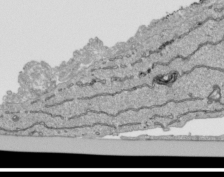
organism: Human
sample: Mitochondria in HCT116 cells